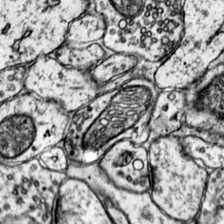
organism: Mouse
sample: Primary visual cortex